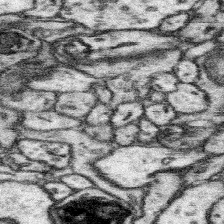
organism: Mouse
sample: Somatosensory cortex neuropil